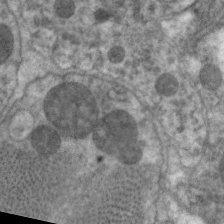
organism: C. elegans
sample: Pharynx